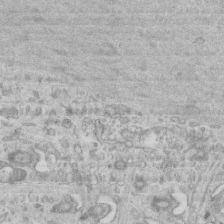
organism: Mouse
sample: Centriole in ependymal cells